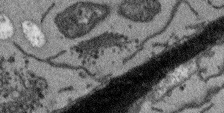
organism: Arabidopsis thaliana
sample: Root tip